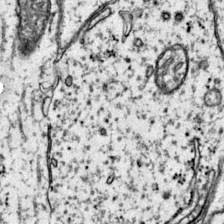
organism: Mouse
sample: Primary visual cortex